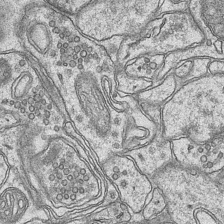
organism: Mouse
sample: CA1 Hippocampus